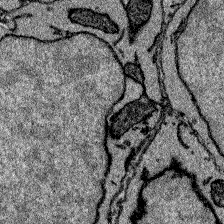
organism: Zebrafish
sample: Larval olfactory bulb